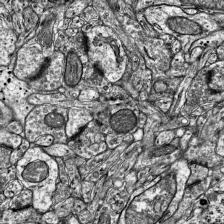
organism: Mouse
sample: Visual Cortex